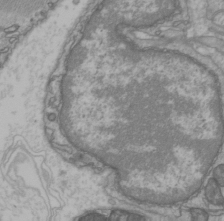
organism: C57BL Mouse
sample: Heart